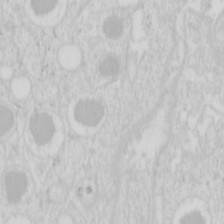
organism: Mouse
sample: Pancreas